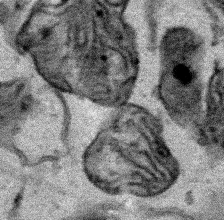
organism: Human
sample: Mitochondria in HCT116 cells